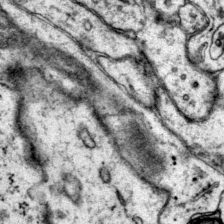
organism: Mouse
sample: Primary visual cortex